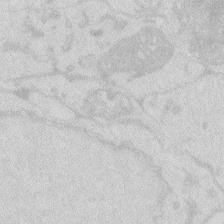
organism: Zebrafish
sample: Macrophage